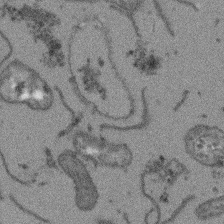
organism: Arabidopsis thaliana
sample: Root tip